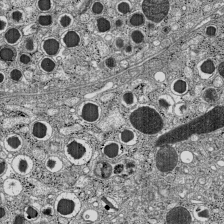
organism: C57BL Mouse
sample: Pancreatic islet